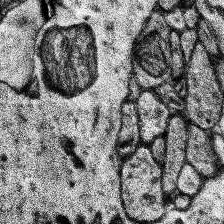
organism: Human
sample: Temporal Lobe